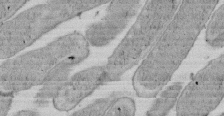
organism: E. coli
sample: Bacterial nucleoid